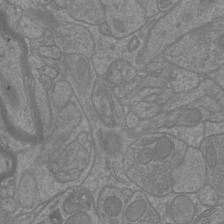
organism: Mouse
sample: Cortical neurons